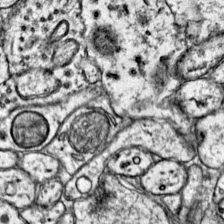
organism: Mouse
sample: Primary visual cortex